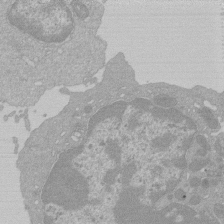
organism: Mouse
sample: Activated Pmel transgenic CD8+ T Cells